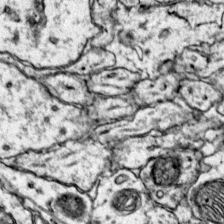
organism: Mouse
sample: Primary visual cortex